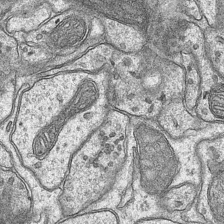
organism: Mouse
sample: CA1 Hippocampus